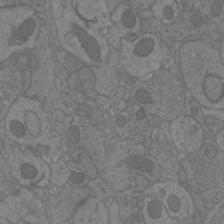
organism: Mouse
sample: Cortical neurons